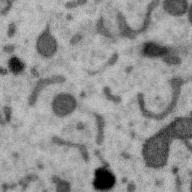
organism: Zebra finch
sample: Brain